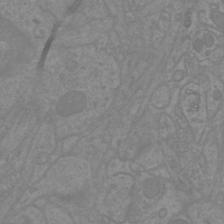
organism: Mouse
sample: Cortical neurons